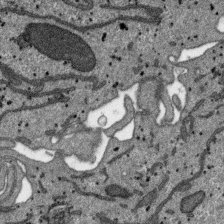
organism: Human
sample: Lung epithelial cells, uninfected (mock) control